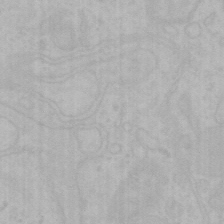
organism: Mouse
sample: Choroid plexus